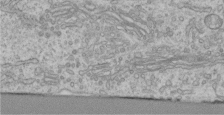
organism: Human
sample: Centriole in RPE cells